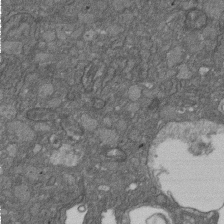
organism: Drosophila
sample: Nephrocyte